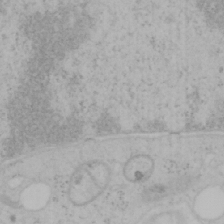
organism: Mouse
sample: OT-I killer T cells with ID8 ovarian cancer cells